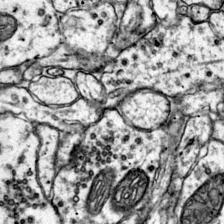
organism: Mouse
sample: Primary visual cortex